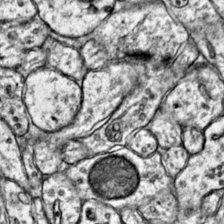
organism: Mouse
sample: Primary visual cortex